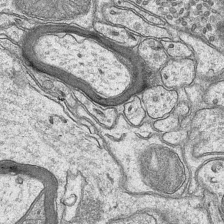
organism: Mouse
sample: CA1 Hippocampus